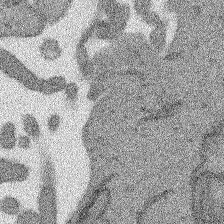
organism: Human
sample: HeLa cells